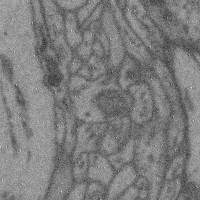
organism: Mouse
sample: Cerebral cortex